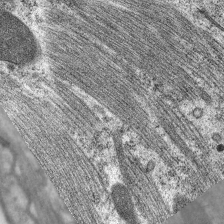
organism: C. elegans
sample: Pharynx